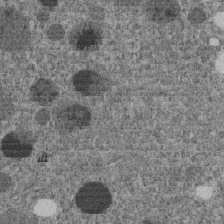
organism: C. elegans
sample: C. elegans embryo early stage